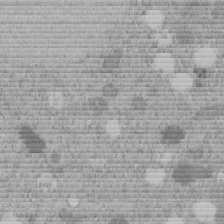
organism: C. elegans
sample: C. elegans embryo early stage